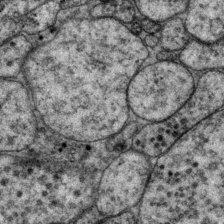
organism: P. pacificus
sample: Pharynx